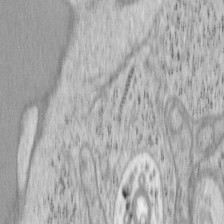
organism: Human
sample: HeLa cells